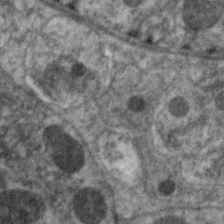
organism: C. elegans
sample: Pharynx